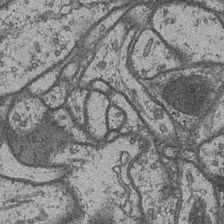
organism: Drosophila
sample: Optic medulla